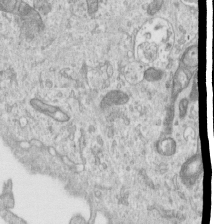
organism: Human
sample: Centriole in RPE cells